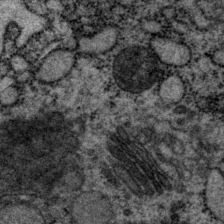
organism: P. pacificus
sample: Pharynx